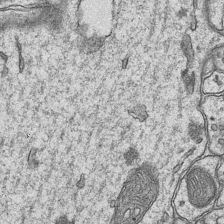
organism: Mouse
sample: CA1 Hippocampus